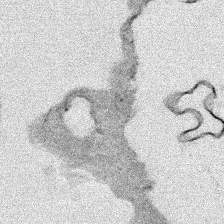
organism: Human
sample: Mitochondria in HCT116 cells